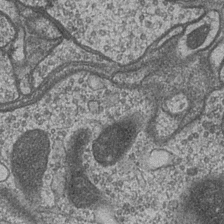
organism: Drosophila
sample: Optic medulla